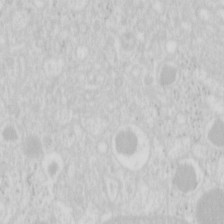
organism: Mouse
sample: Pancreas